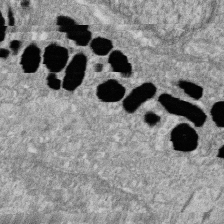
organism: Zebrafish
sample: Cilia; retinal pigment epithelium